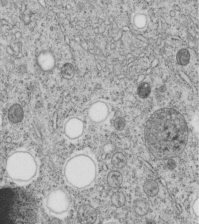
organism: C. elegans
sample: C. elegans embryo early stage